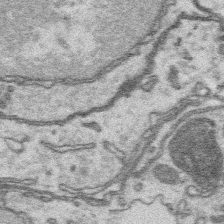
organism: Platynereis dumerilii